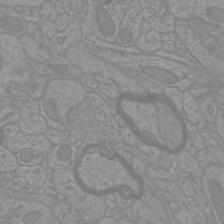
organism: Mouse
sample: Cortical neurons